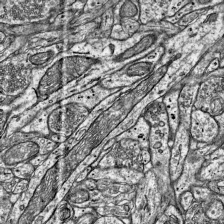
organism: Mouse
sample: Visual Cortex